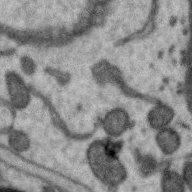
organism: Zebra finch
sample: Brain